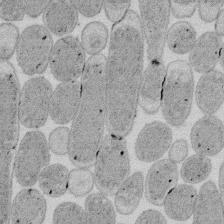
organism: E. coli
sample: Bacterial nucleoid